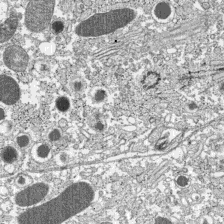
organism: C57BL Mouse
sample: Pancreatic islet